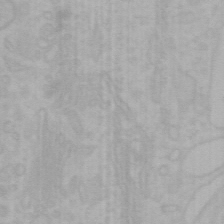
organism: Mouse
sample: Choroid plexus